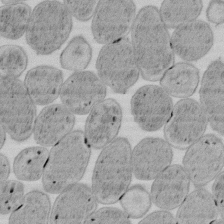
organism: E. coli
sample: Bacterial nucleoid